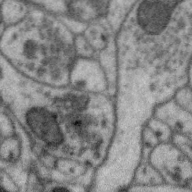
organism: Zebra finch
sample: Brain